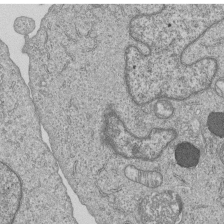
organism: Human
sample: MDA-MB-231 cells